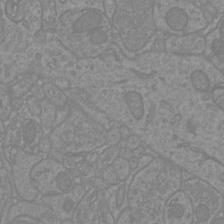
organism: Mouse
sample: Cortical neurons